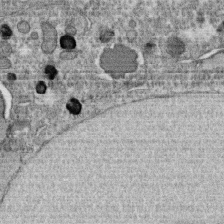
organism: C. elegans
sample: C. elegans oocyte; sperm cells